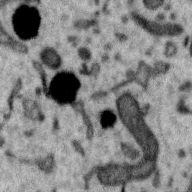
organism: Zebra finch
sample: Brain